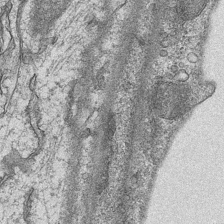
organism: Mouse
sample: CA1 Hippocampus